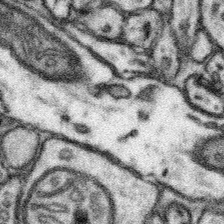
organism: Mouse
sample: Somatosensory cortex neuropil